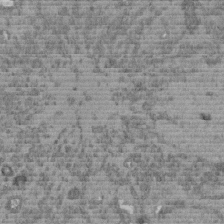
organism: C. elegans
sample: C. elegans embryo early stage